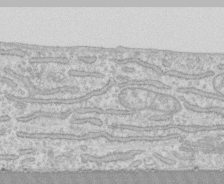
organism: Human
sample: CRL-1474